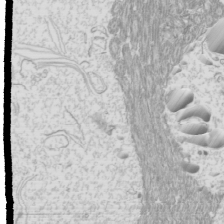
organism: Mouse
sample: Cilia; mouse epididymis